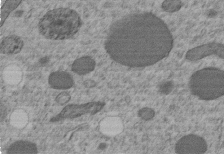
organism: C. elegans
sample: C. elegans embryo early stage